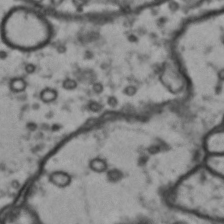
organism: Drosophila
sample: Brain